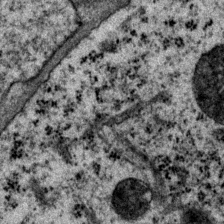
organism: P. pacificus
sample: Pharynx